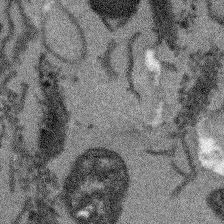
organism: Arabidopsis thaliana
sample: Root tip